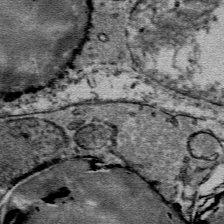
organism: Mouse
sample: Mouse Salivary gland